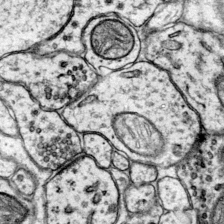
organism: Mouse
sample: Primary visual cortex